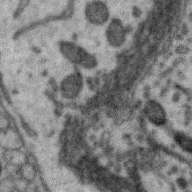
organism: Zebra finch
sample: Brain